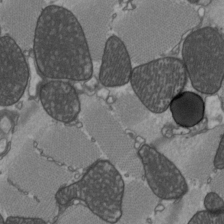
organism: C57BL Mouse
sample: Heart